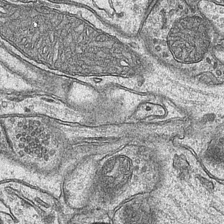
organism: Mouse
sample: CA1 Hippocampus